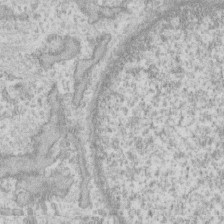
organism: Human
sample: Fibroblast cells